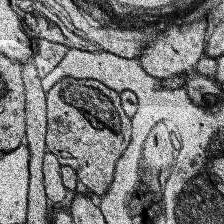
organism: Human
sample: Temporal Lobe